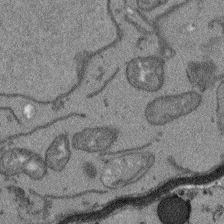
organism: Arabidopsis thaliana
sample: Root tip